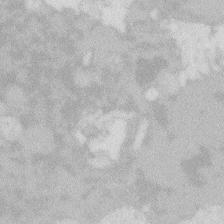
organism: Zebrafish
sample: Macrophage